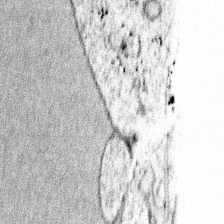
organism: Human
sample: HeLa cells